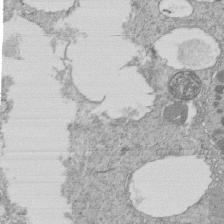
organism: Tetrahymena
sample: Cilia in tetrahymena